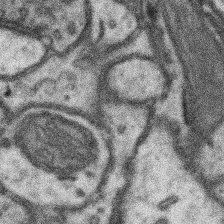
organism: Mouse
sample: Somatosensory cortex neuropil